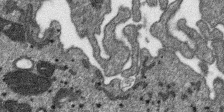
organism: Human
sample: Lung epithelial cells infected with SARS-CoV-2